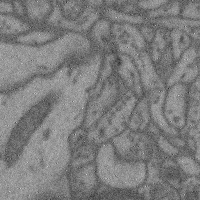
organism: Mouse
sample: Cerebral cortex